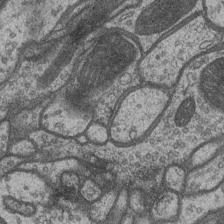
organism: Drosophila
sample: Optic medulla